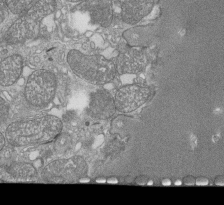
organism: Tetrahymena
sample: Cilia in tetrahymena